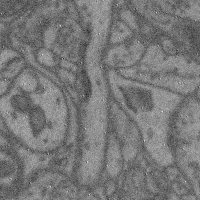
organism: Mouse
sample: Cerebral cortex